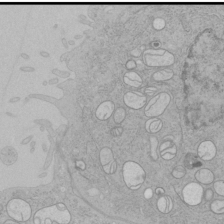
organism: Human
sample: Mitochondria in HCT116 cells